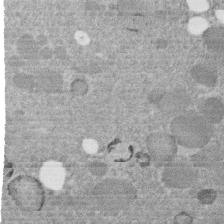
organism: C. elegans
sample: C. elegans embryo early stage